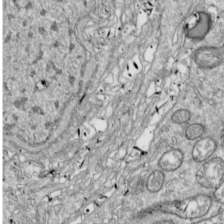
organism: Drosophila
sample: Cell division; meiosis; drosophila spermatocytes